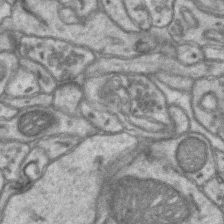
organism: Mouse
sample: CA1 Hippocampus